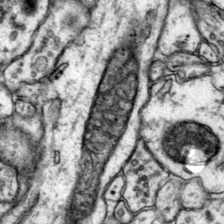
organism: Mouse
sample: Primary visual cortex